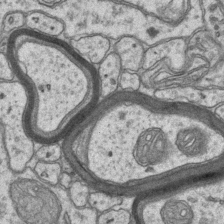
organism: Mouse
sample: CA1 Hippocampus